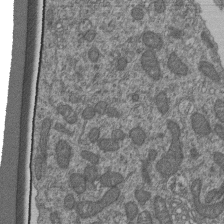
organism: Human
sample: Retinal organoid Rod and Cone cells